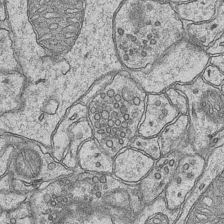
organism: Mouse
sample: CA1 Hippocampus